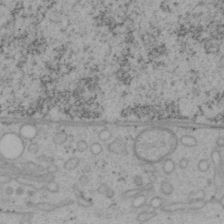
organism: Human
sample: HeLa cells